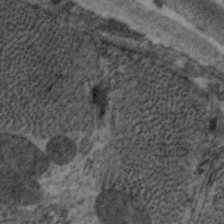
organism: C. elegans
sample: Pharynx